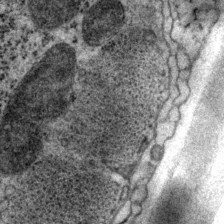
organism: P. pacificus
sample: Pharynx